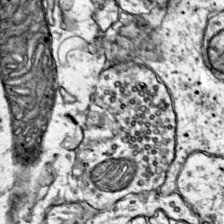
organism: Mouse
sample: Primary visual cortex